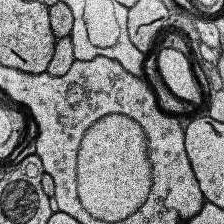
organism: Human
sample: Temporal Lobe